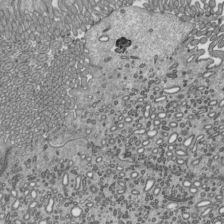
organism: Mouse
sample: Mouse epididymis efferent ductule cilia